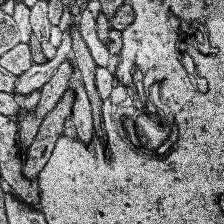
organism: Human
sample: Temporal Lobe